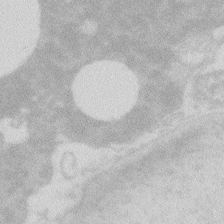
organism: Zebrafish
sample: Macrophage